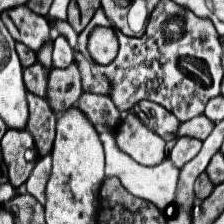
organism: Human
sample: Temporal Lobe